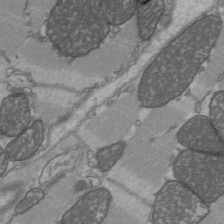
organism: C57BL Mouse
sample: Heart